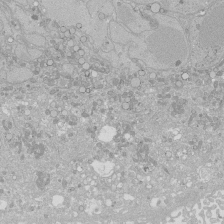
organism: Human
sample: Caco-2 cells